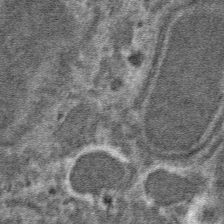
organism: Mouse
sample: Mouse hepatocytes